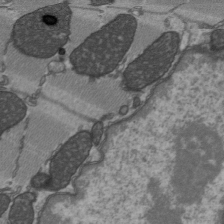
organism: C57BL Mouse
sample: Heart